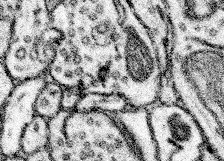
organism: Mouse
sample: Somatosensory cortex neuropil